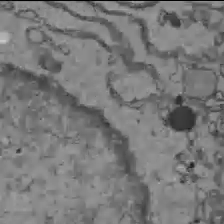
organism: C57BL Mouse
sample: Liver